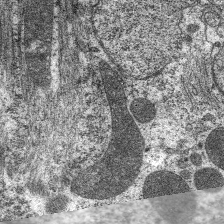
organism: C. elegans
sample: Pharynx